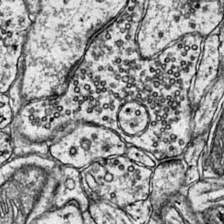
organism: Mouse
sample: Primary visual cortex